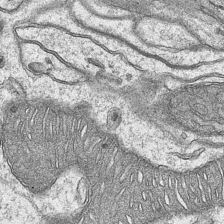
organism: Mouse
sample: CA1 Hippocampus